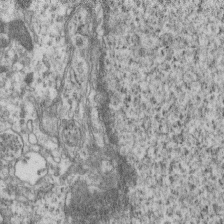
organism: Mouse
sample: Centriole in ependymal cells